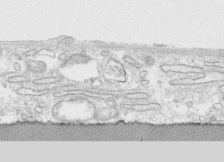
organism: Human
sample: CRL-1474